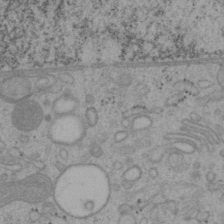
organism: Human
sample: HeLa cells